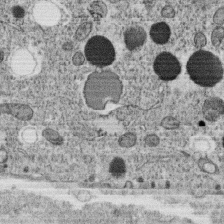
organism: C. elegans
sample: C. elegans oocyte; sperm cells